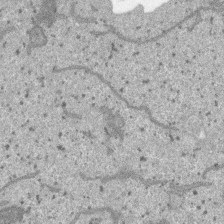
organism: Human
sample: Lung epithelial cells infected with SARS-CoV-2